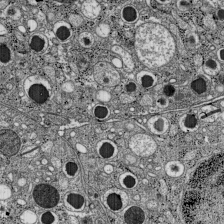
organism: C57BL Mouse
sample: Pancreatic islet